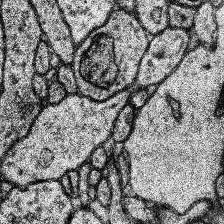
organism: Human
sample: Temporal Lobe